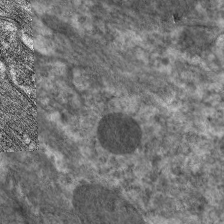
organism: C. elegans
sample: Pharynx